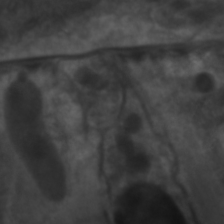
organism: C. elegans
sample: Pharynx